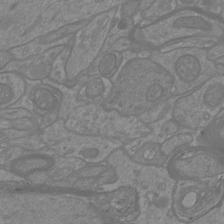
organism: Mouse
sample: Cortical neurons